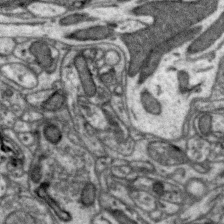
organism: Zebra finch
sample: Brain